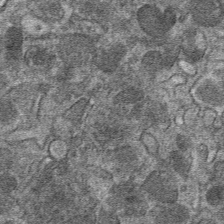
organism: Mouse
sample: Mouse hepatocytes